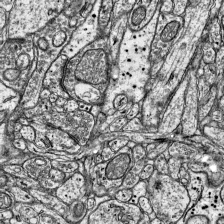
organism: Mouse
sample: Visual Cortex